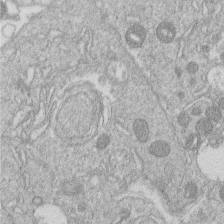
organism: Human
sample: Macrophage cells